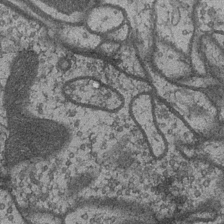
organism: Drosophila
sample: Optic medulla